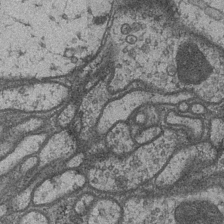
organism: Drosophila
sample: Optic medulla